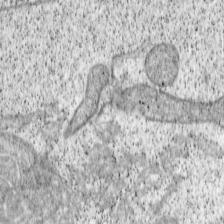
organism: African green monkey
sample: COS-7 cells